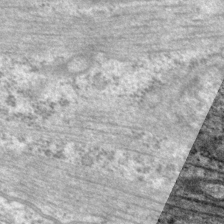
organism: P. pacificus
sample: Pharynx